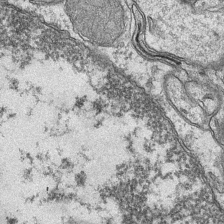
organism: Mouse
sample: CA1 Hippocampus